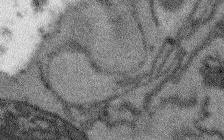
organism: Arabidopsis thaliana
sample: Root tip